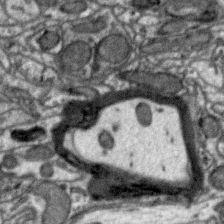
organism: Zebra finch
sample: Brain